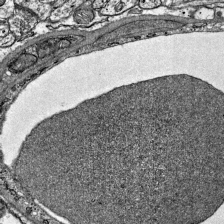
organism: Mouse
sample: Visual Cortex